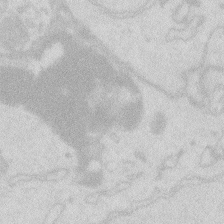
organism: Zebrafish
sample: Macrophage